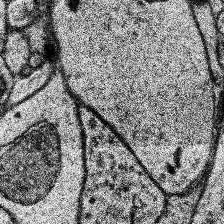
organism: Human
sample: Temporal Lobe